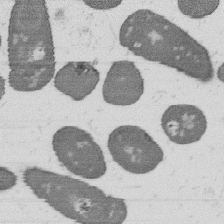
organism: B. subtilis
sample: Bacterial spore